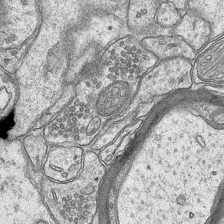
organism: Mouse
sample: CA1 Hippocampus